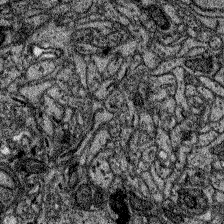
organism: Zebrafish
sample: Larval olfactory bulb